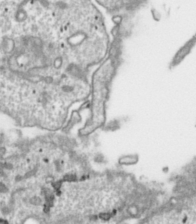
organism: Toxoplasma gondii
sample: Parasites in a vacuole inside a host cell